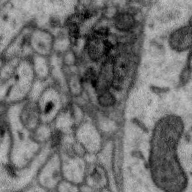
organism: Zebra finch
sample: Brain